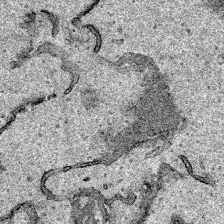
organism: Human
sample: Mitochondria in HCT116 cells